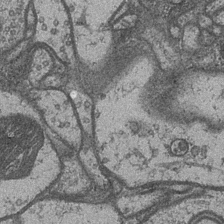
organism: Drosophila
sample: Optic medulla